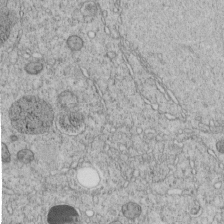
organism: C. elegans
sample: C. elegans embryo early stage